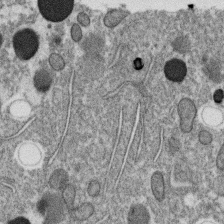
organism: C. elegans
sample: C. elegans oocyte; sperm cells